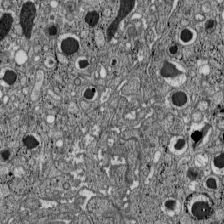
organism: C57BL Mouse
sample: Pancreatic islet